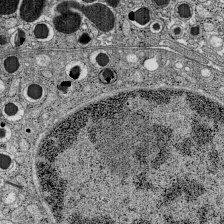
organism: C57BL Mouse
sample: Pancreatic islet